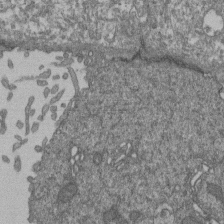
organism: Human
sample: Retinal organoid Rod and Cone cells